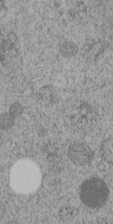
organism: C. elegans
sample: C. elegans embryo early stage